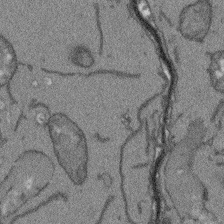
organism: Arabidopsis thaliana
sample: Root tip